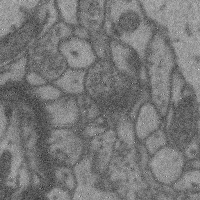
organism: Mouse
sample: Cerebral cortex